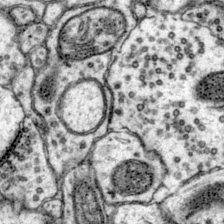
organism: Mouse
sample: Primary visual cortex